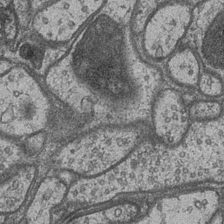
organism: Drosophila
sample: Optic medulla